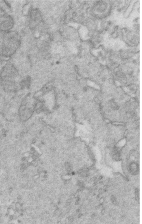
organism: Mouse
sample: Multiciliated cells